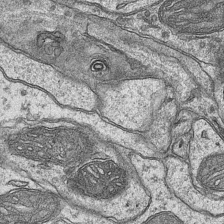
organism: Mouse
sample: CA1 Hippocampus